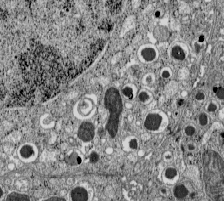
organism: C57BL Mouse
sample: Pancreatic islet